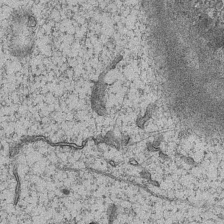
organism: Mouse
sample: CA1 Hippocampus